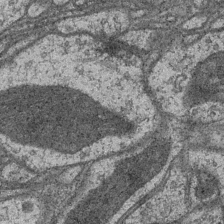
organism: Drosophila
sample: Optic medulla